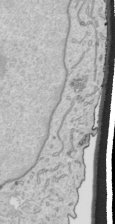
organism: Human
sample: Mitochondria in HCT116 cells